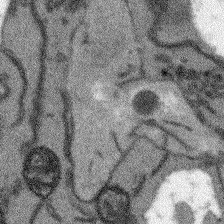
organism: Arabidopsis thaliana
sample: Root tip